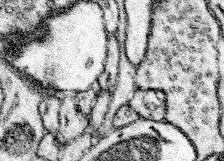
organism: Mouse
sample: Somatosensory cortex neuropil